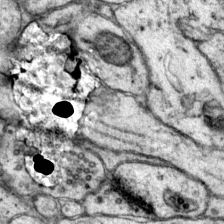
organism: Mouse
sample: Primary visual cortex